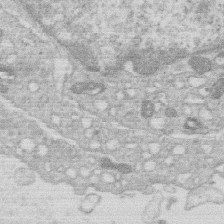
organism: Human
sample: Macrophage cells